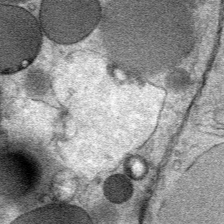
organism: Mouse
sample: Mouse Salivary gland